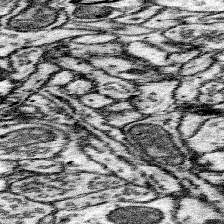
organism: Mouse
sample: Somatosensory cortex neuropil